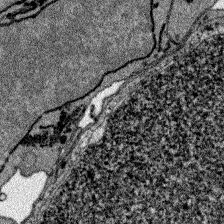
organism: Zebrafish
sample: Larval olfactory bulb